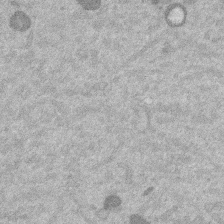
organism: Mouse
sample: Dividing mouse embryo 1 cell stage